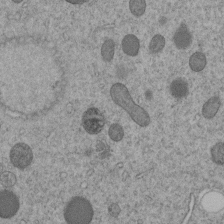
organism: C. elegans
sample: C. elegans embryo early stage